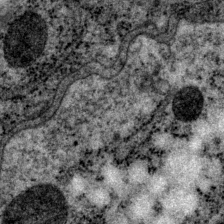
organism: P. pacificus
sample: Pharynx